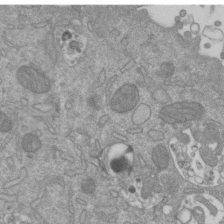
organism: Mouse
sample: ED-1 cell nuclei; centrioles